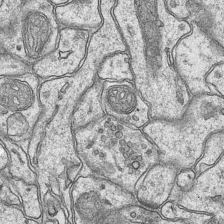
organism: Mouse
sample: CA1 Hippocampus